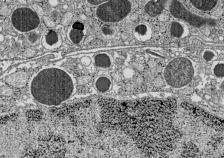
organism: C57BL Mouse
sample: Pancreatic islet